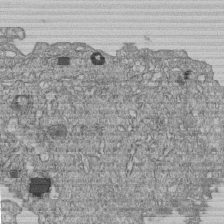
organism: Human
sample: MDA-MB-231 cells